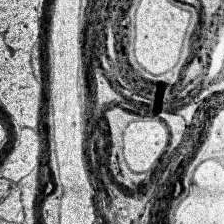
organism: Human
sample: Temporal Lobe